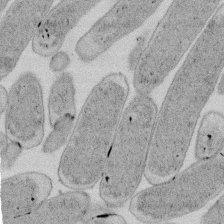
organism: E. coli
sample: Bacterial nucleoid